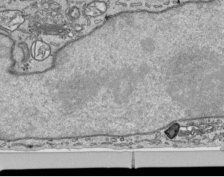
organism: Human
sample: Mitochondria in HCT116 cells